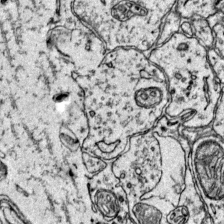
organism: Mouse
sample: Primary visual cortex